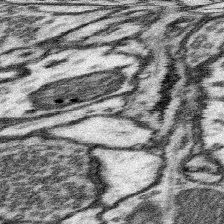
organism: Mouse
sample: Somatosensory cortex neuropil